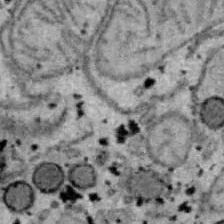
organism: Mouse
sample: Liver from an obese (ob/ob) mouse